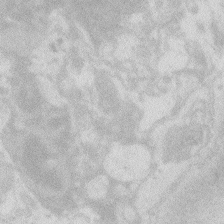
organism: Zebrafish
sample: Macrophage